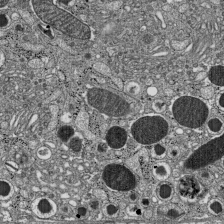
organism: C57BL Mouse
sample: Pancreatic islet